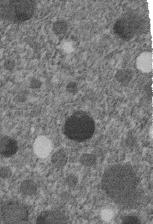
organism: C. elegans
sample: C. elegans embryo early stage